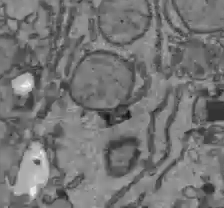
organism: C57BL Mouse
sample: Liver